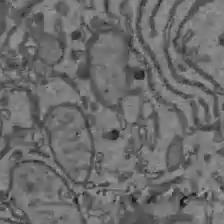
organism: C57BL Mouse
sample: Liver